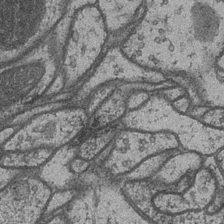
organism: Drosophila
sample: Optic medulla